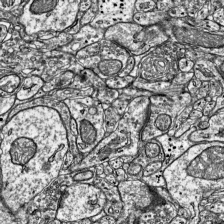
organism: Mouse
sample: Visual Cortex